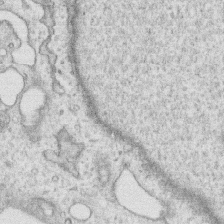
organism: Human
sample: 1205lu cells